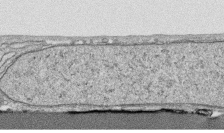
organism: Human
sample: CRL-1474